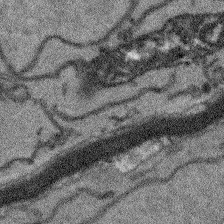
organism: Arabidopsis thaliana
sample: Root tip